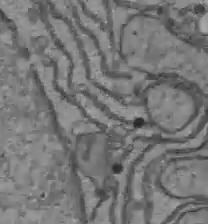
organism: C57BL Mouse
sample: Liver